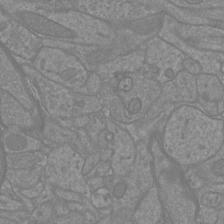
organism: Mouse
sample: Cortical neurons